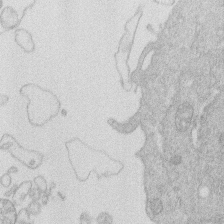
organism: Human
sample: Macrophage cells